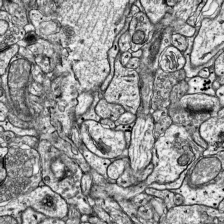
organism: Mouse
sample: Visual Cortex